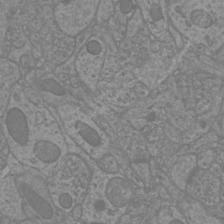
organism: Mouse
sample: Cortical neurons